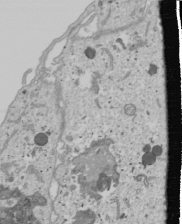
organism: Human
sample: Mitochondria in U2OS cells